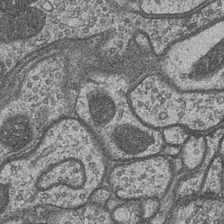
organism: Drosophila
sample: Optic medulla